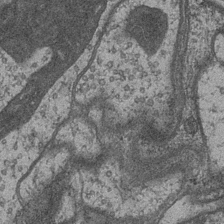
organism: Drosophila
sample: Optic medulla